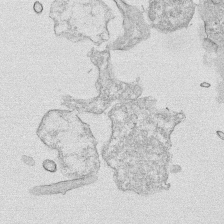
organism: Human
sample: Mitochondria in HCT116 cells